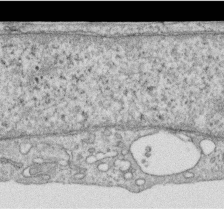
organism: Human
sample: Centriole in RPE cells